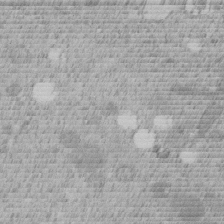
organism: C. elegans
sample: C. elegans embryo early stage